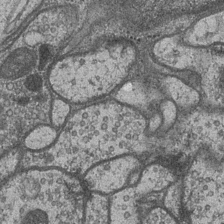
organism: Drosophila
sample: Optic medulla